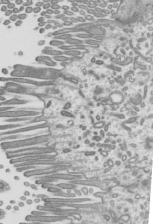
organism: Mouse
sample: Mouse epididymis efferent ductule cilia